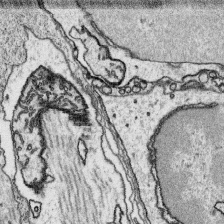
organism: Platynereis dumerilii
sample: Parapodia